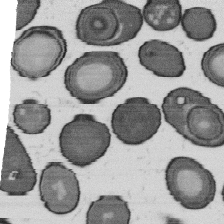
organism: B. subtilis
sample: Bacterial spore